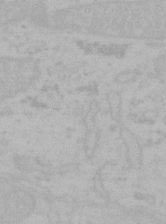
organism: Mouse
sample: Choroid plexus